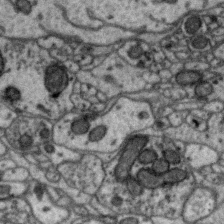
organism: Zebra finch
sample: Brain